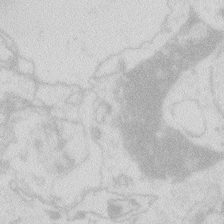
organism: Zebrafish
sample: Macrophage